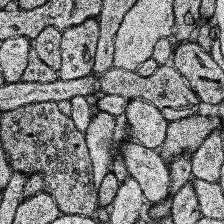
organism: Human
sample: Temporal Lobe